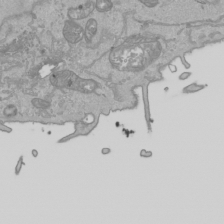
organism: Human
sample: Mitochondria in HCT116 cells